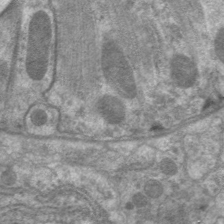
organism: C. elegans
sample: Pharynx